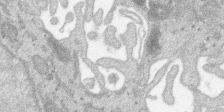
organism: Human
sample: Lung epithelial cells infected with SARS-CoV-2